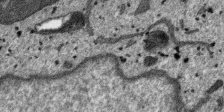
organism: Human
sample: Lung epithelial cells, uninfected (mock) control